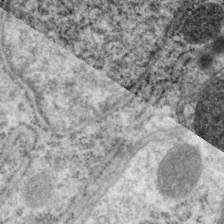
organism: P. pacificus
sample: Pharynx